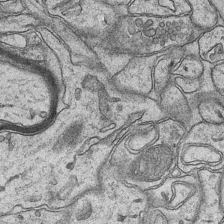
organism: Mouse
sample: CA1 Hippocampus